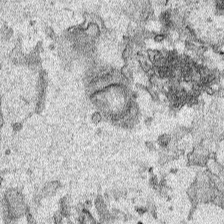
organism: Human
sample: Mitochondria in HCT116 cells